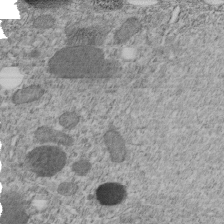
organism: C. elegans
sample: C. elegans embryo early stage